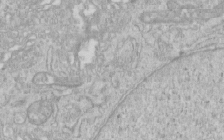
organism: Human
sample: Centriole in RPE cells